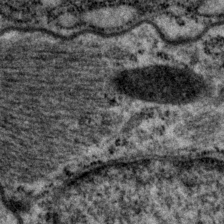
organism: P. pacificus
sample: Pharynx